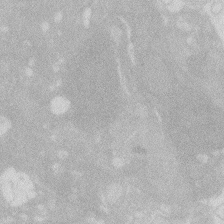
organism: Zebrafish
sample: Macrophage